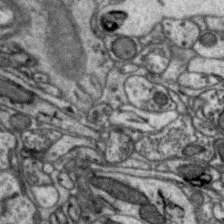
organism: Zebra finch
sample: Brain